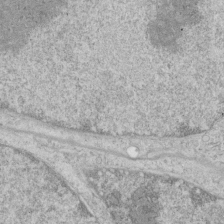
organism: Human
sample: Mitochondria in HCT116 cells